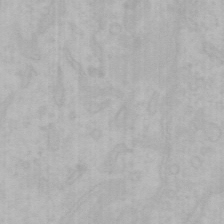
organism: Mouse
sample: Choroid plexus